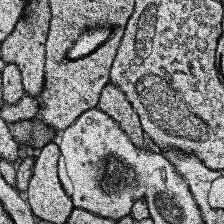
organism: Human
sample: Temporal Lobe